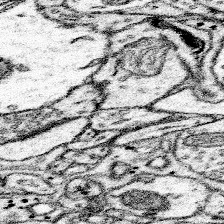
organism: Mouse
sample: Somatosensory cortex neuropil